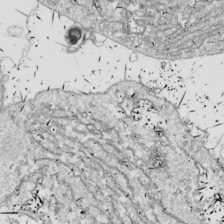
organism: Drosophila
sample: Cell division; meiosis; drosophila spermatocytes